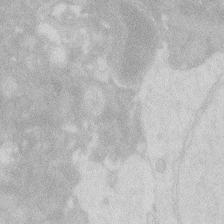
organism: Zebrafish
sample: Macrophage